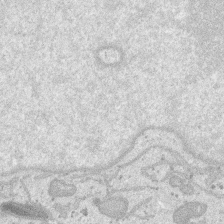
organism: Human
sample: Lung epithelial cells infected with SARS-CoV-2